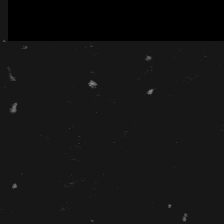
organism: Platynereis dumerilii